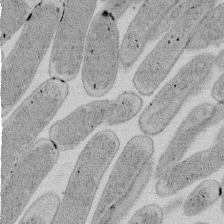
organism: E. coli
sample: Bacterial nucleoid